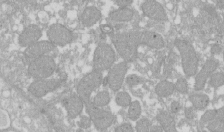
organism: Xenopus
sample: Cilia; centrioles in frog embryo cells